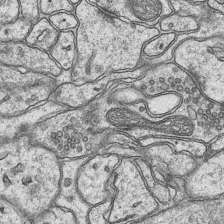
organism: Mouse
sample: CA1 Hippocampus